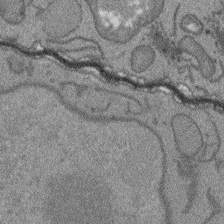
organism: Arabidopsis thaliana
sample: Root tip